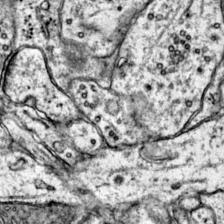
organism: Mouse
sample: Primary visual cortex